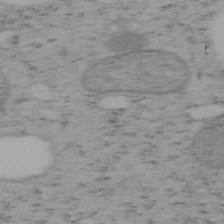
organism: Mouse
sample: OT-I killer T cells with ID8 ovarian cancer cells